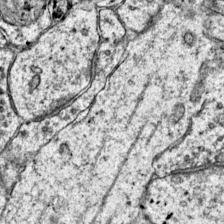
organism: Mouse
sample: Primary visual cortex